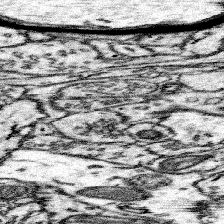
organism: Mouse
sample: Somatosensory cortex neuropil